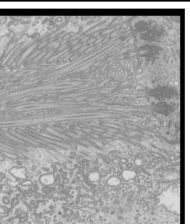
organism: Mouse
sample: Cilia; mouse epididymis